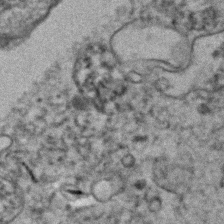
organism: Human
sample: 1205lu cells